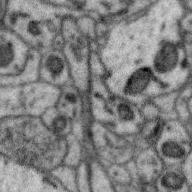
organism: Zebra finch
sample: Brain